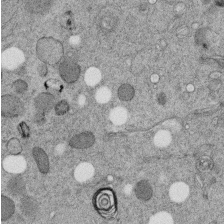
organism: C. elegans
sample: C. elegans embryo early stage